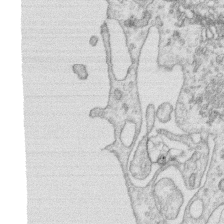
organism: Human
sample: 1205lu cells